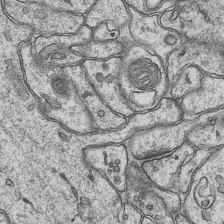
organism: Mouse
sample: CA1 Hippocampus